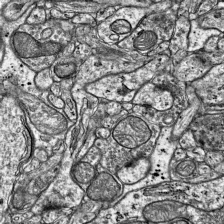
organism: Mouse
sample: Visual Cortex